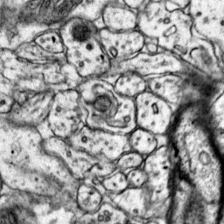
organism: Mouse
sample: Primary visual cortex